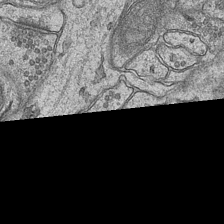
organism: Mouse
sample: CA1 Hippocampus